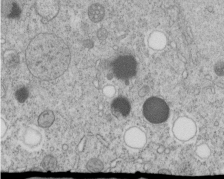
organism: C. elegans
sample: C. elegans embryo early stage